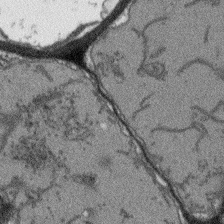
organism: Arabidopsis thaliana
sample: Root tip